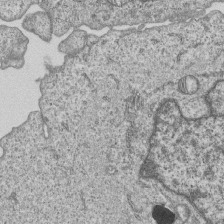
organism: Human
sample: MDA-MB-231 cells